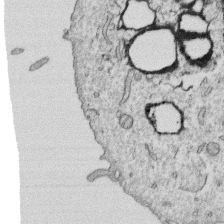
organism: Human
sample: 1205lu cells